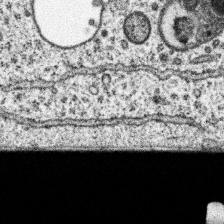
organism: Human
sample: HeLa cells